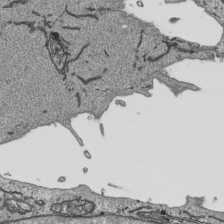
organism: Human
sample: Mitochondria in HCT116 cells